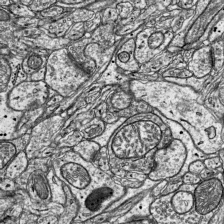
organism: Mouse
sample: Visual Cortex